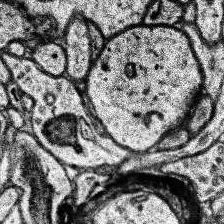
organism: Human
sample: Temporal Lobe